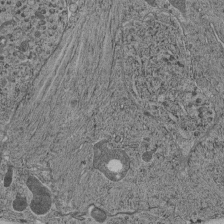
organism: C. elegans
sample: C. elegans pharynx